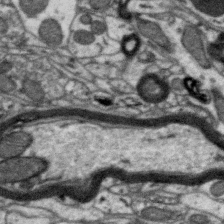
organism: Zebra finch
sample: Brain